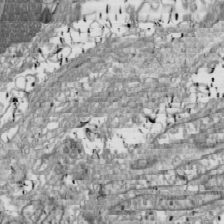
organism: Drosophila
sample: Cell division; meiosis; drosophila spermatocytes